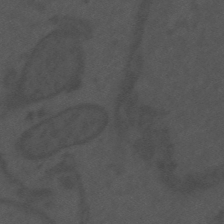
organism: Mouse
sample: Suprachiasmatic nucleus